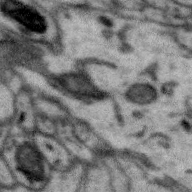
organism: Zebra finch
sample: Brain